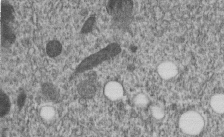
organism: C. elegans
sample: C. elegans embryo early stage